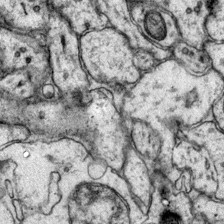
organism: Mouse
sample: Primary visual cortex